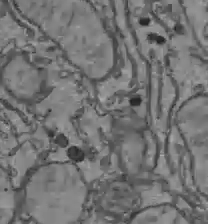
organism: C57BL Mouse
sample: Liver